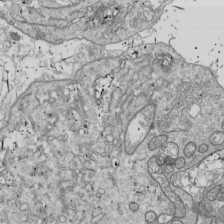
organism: Drosophila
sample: Cell division; meiosis; drosophila spermatocytes